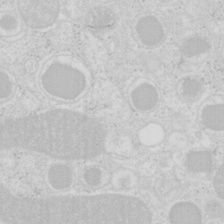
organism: Mouse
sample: Pancreas